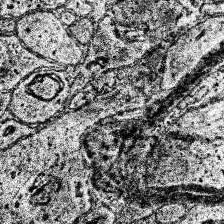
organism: Human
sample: Temporal Lobe